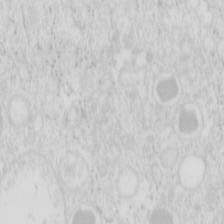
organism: Mouse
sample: Pancreas